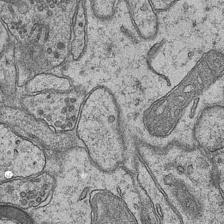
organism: Mouse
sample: CA1 Hippocampus